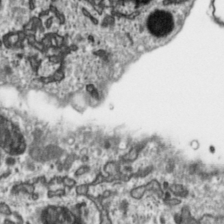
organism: Toxoplasma gondii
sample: Parasites in a vacuole inside a host cell